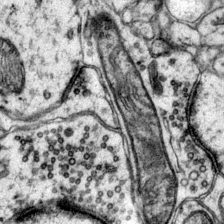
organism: Mouse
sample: Primary visual cortex